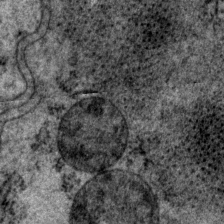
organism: P. pacificus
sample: Pharynx